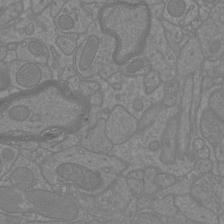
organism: Mouse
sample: Cortical neurons